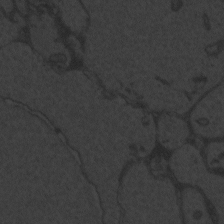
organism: Zebrafish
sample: Macrophage infected with Toxoplasma gondii